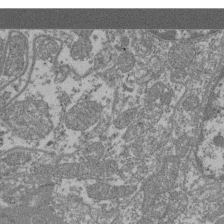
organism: Mouse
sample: Glomerulus